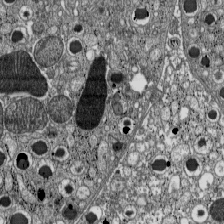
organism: C57BL Mouse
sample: Pancreatic islet